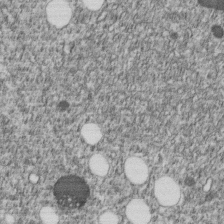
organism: C. elegans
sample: C. elegans embryo early stage